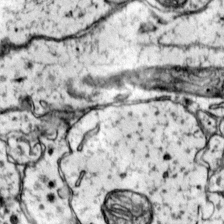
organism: Mouse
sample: Primary visual cortex